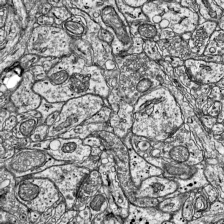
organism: Mouse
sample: Visual Cortex